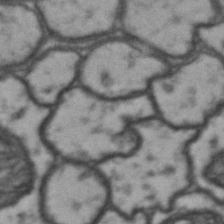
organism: Drosophila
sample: Brain